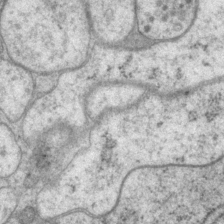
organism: P. pacificus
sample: Pharynx